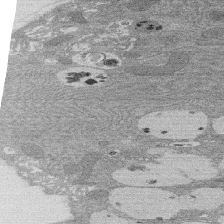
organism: Rat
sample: Salivary granule